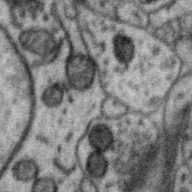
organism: Zebra finch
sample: Brain